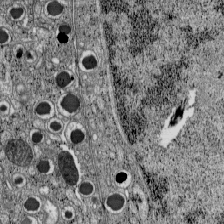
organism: C57BL Mouse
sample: Pancreatic islet